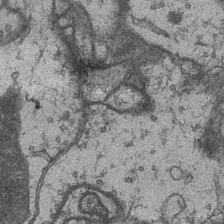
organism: Drosophila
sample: Optic medulla